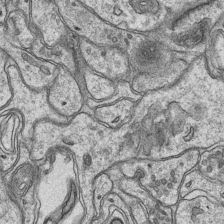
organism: Mouse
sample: CA1 Hippocampus